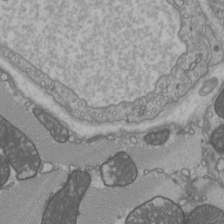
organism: C57BL Mouse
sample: Heart